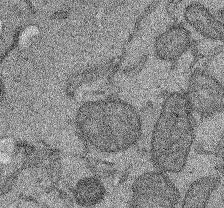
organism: Human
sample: HeLa cells